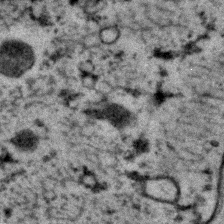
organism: C. elegans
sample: C. elegans embryo